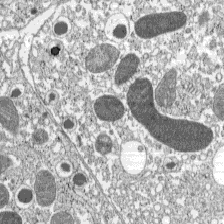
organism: C57BL Mouse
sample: Pancreatic islet